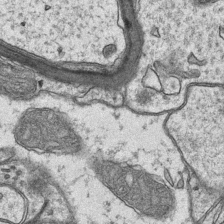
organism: Mouse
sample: CA1 Hippocampus